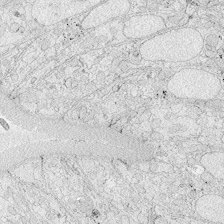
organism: Zebrafish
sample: Whole-Brain